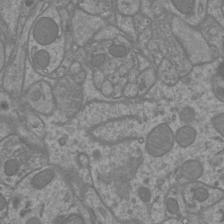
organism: Mouse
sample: Cortical neurons